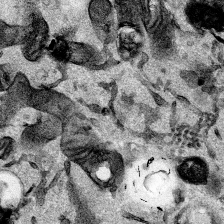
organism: Mouse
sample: Cancer cell death in ED-1 cells